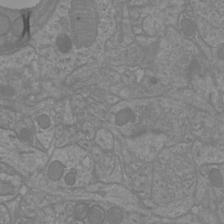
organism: Mouse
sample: Cortical neurons